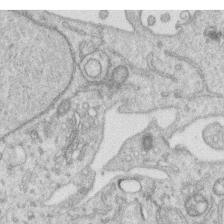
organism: Human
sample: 1205lu cells